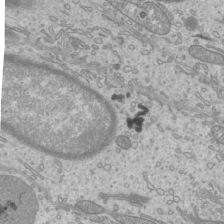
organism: Mouse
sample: Cilia; mouse epididymis